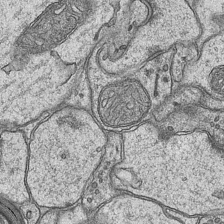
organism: Mouse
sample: CA1 Hippocampus